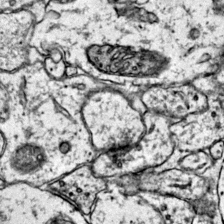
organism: Mouse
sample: Primary visual cortex